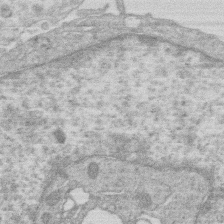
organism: Human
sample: Macrophage cells